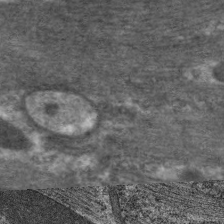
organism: C. elegans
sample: Pharynx